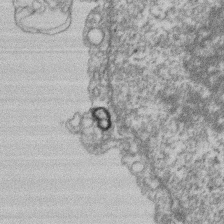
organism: Mouse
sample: T cell stromal cell synapse